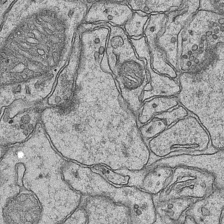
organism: Mouse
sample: CA1 Hippocampus